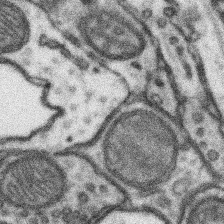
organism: Mouse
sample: Somatosensory cortex neuropil